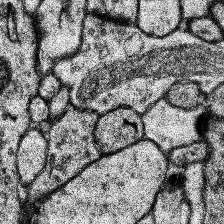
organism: Human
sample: Temporal Lobe